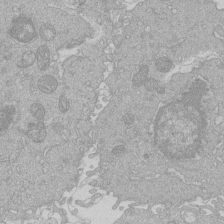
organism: Human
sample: Macrophage cells